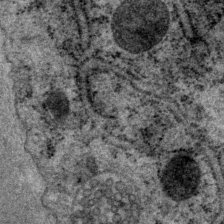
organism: P. pacificus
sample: Pharynx